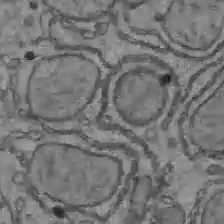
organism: C57BL Mouse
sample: Liver